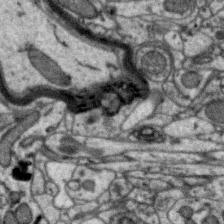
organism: Zebra finch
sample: Brain